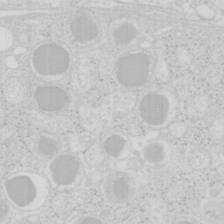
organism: Mouse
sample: Pancreas